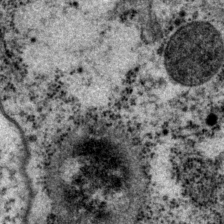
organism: P. pacificus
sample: Pharynx